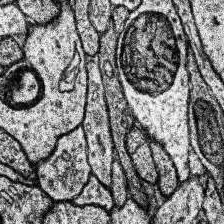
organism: Human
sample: Temporal Lobe